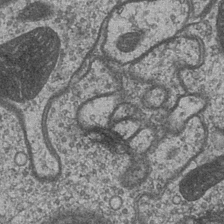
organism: Drosophila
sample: Optic medulla